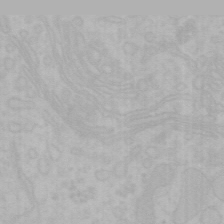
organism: Mouse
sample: Choroid plexus